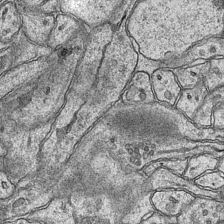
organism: Mouse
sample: CA1 Hippocampus